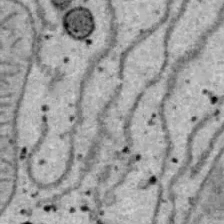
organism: Mouse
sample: Liver from an obese (ob/ob) mouse